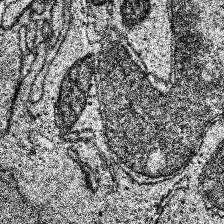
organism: Human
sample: Temporal Lobe